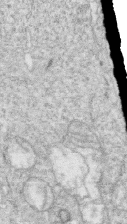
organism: Human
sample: HeLa cell HIV synapse